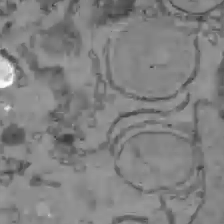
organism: C57BL Mouse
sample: Liver